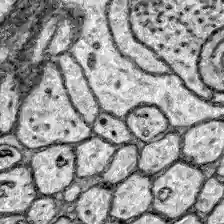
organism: Zebrafish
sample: Brain